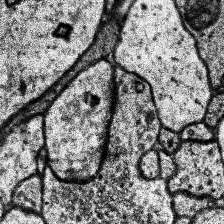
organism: Human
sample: Temporal Lobe